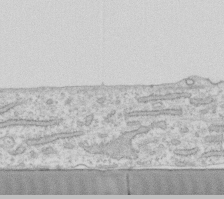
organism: Human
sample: Fibroblast cells